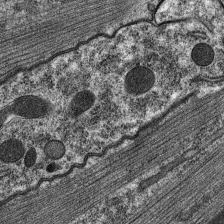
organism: C. elegans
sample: Pharynx